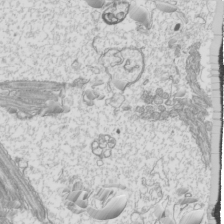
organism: Mouse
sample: Cilia; mouse epididymis